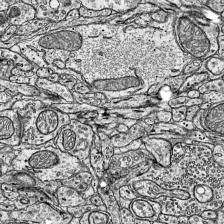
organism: Mouse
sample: Visual Cortex